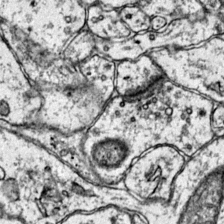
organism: Mouse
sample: Primary visual cortex